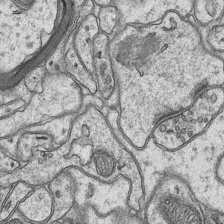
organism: Mouse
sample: CA1 Hippocampus